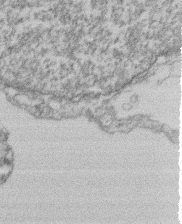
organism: Mouse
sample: T cell stromal cell synapse